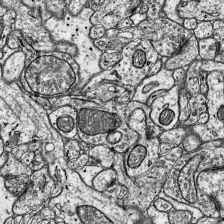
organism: Mouse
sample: Visual Cortex